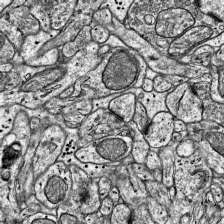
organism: Mouse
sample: Visual Cortex